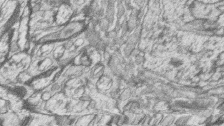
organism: Zebrafish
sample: synaptic ribbons in rod cells and cone cells